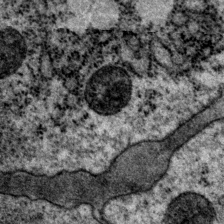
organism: P. pacificus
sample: Pharynx